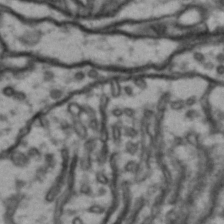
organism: Drosophila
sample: Brain